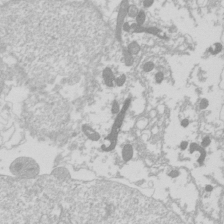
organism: Drosophila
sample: Cell division; meiosis; drosophila spermatocytes